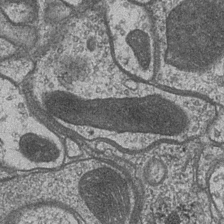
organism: Drosophila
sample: Optic medulla